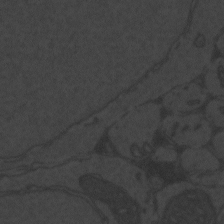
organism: Zebrafish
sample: Macrophage infected with Toxoplasma gondii